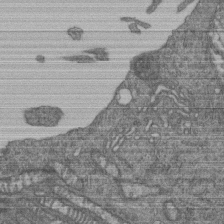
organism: Human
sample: Retinal organoid Rod and Cone cells